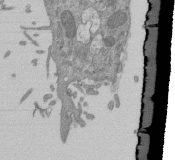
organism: Mouse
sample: ED-1 cell nuclei; centrioles